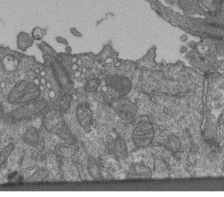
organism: Human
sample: Retinal organoid Rod and Cone cells